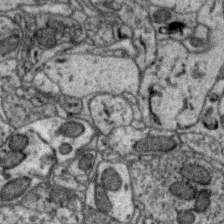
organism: Zebra finch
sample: Brain